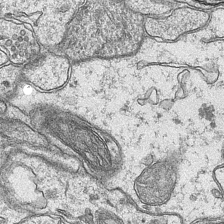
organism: Mouse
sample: CA1 Hippocampus